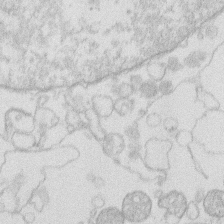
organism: Human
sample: Macrophage cells